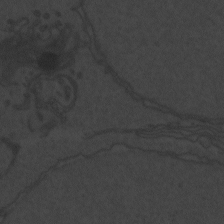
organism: Zebrafish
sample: Macrophage infected with Toxoplasma gondii